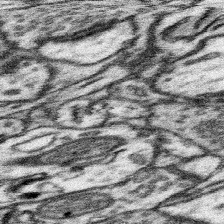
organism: Mouse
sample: Somatosensory cortex neuropil